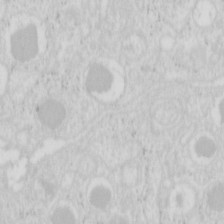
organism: Mouse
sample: Pancreas